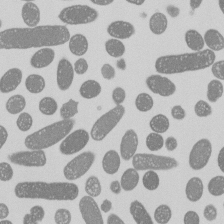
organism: E. coli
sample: Bacterial nucleoid